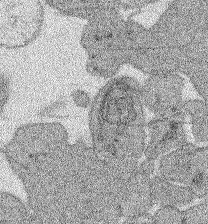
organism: Human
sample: HeLa cells